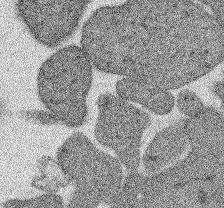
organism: Human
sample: HeLa cells